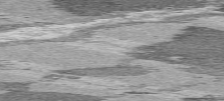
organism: C57BL Mouse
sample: Heart